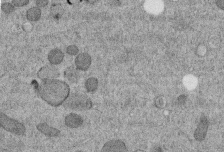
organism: C. elegans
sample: C. elegans embryo early stage